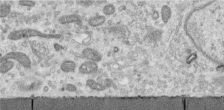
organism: Human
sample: Centriole in RPE cells